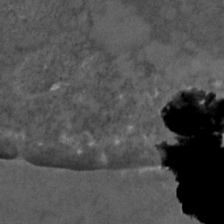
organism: C. elegans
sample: C. elegans embryo